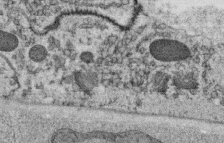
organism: C. elegans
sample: C. elegans oocyte; sperm cells